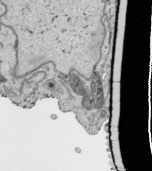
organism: Human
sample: Mitochondria in HCT116 cells